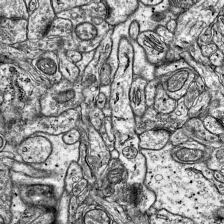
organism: Mouse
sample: Visual Cortex